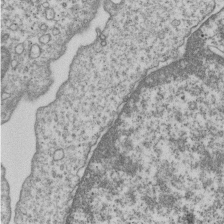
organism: Human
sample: MDA-MB-231 cells